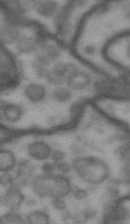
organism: Drosophila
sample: Brain